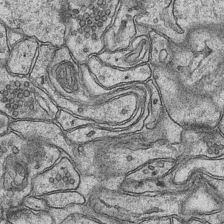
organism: Mouse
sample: CA1 Hippocampus